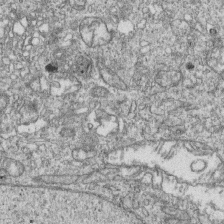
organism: Human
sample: HeLa cell HIV synapse